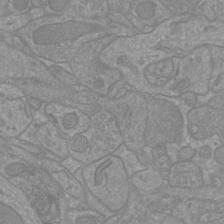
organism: Mouse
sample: Cortical neurons